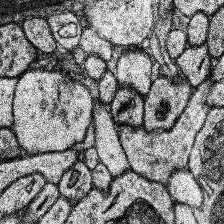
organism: Human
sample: Temporal Lobe